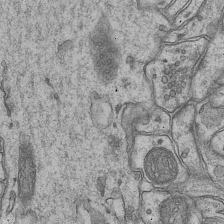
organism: Mouse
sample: CA1 Hippocampus